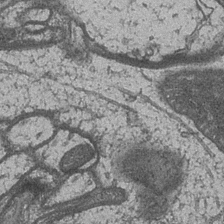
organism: Drosophila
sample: Optic medulla